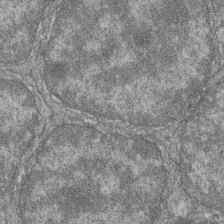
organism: Zebrafish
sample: Cilia; retinal pigment epithelium